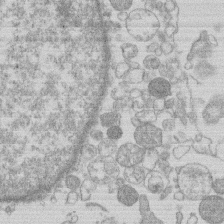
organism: Human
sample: Macrophage cells